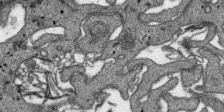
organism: Human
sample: Lung epithelial cells, uninfected (mock) control